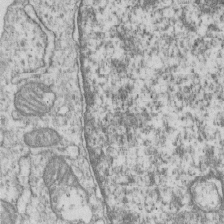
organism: Human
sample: MDA-MB-231 cells